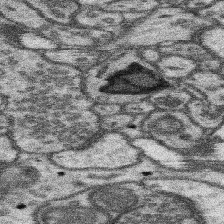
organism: Mouse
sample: Somatosensory cortex neuropil